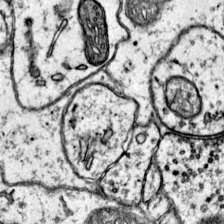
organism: Mouse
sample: Primary visual cortex